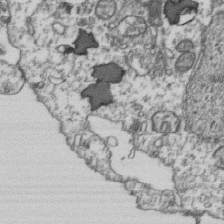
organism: Human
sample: Activated Jurkat CD4+ T cells